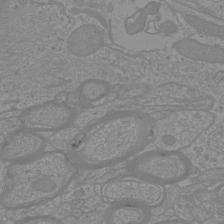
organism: Mouse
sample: Cortical neurons